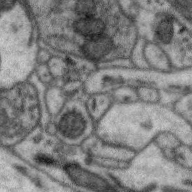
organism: Zebra finch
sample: Brain